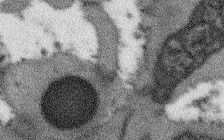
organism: Arabidopsis thaliana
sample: Root tip